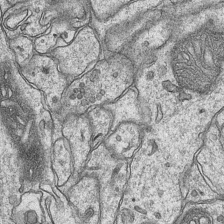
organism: Mouse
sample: CA1 Hippocampus